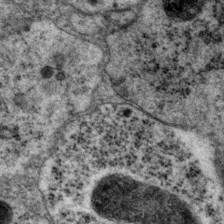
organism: P. pacificus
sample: Pharynx